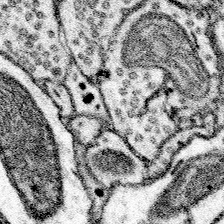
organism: Mouse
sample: Somatosensory cortex neuropil